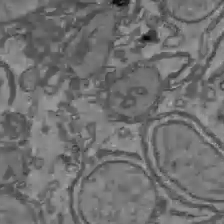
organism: C57BL Mouse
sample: Liver